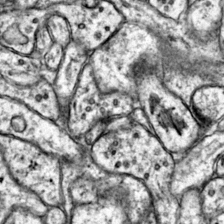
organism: Mouse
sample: Primary visual cortex